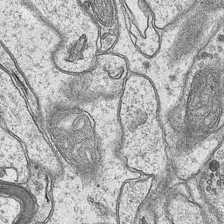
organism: Mouse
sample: CA1 Hippocampus